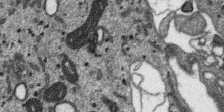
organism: Human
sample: Lung epithelial cells infected with SARS-CoV-2